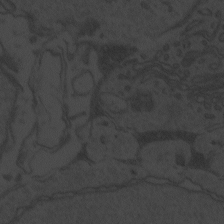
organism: Zebrafish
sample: Macrophage infected with Toxoplasma gondii